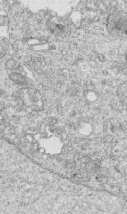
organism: Human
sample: HeLa cell HIV synapse